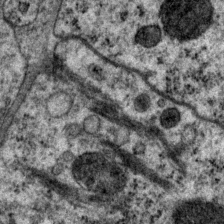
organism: P. pacificus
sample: Pharynx